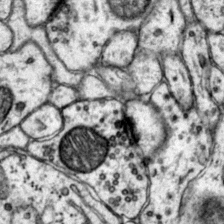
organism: Mouse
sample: Primary visual cortex